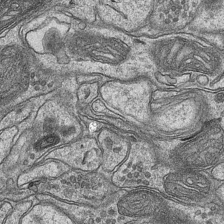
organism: Mouse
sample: CA1 Hippocampus